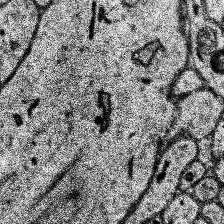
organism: Human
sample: Temporal Lobe